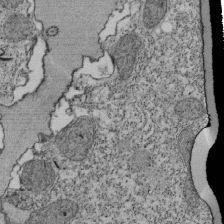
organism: Tetrahymena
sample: Cilia in tetrahymena